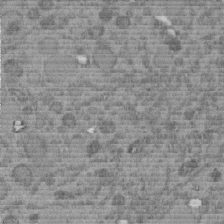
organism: C. elegans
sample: C. elegans embryo early stage